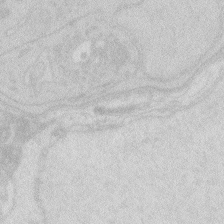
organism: Zebrafish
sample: Macrophage